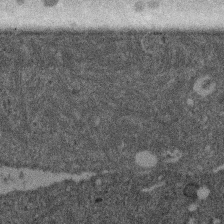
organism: Mouse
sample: Dividing mouse embryo 1 cell stage